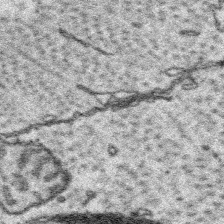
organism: Platynereis dumerilii